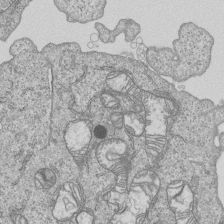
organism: Human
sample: MDA-MB-231 cells